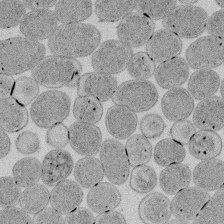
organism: E. coli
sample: Bacterial nucleoid